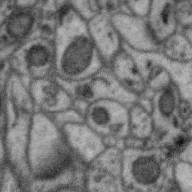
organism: Zebra finch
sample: Brain